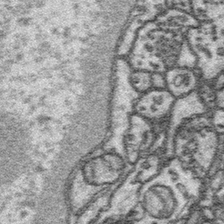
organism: Platynereis dumerilii